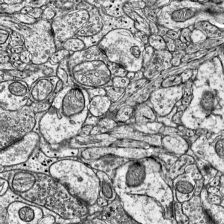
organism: Mouse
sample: Visual Cortex